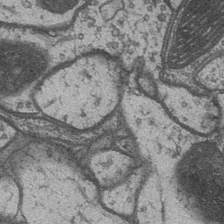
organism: Drosophila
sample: Optic medulla